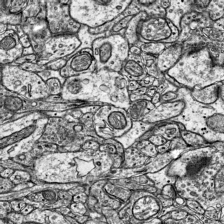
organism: Mouse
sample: Visual Cortex